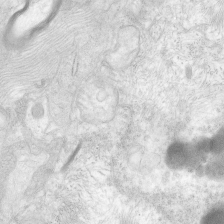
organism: Human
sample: Neocortex